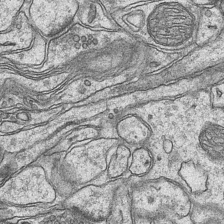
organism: Mouse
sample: CA1 Hippocampus